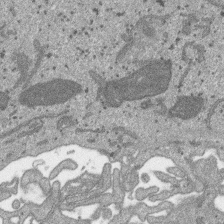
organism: Human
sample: Lung epithelial cells infected with SARS-CoV-2